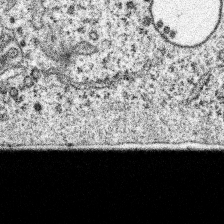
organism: Human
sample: HeLa cells